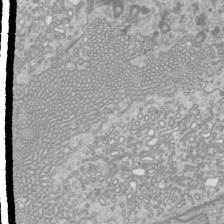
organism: Mouse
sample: Cilia; mouse epididymis